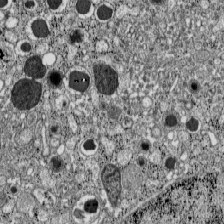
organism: C57BL Mouse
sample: Pancreatic islet